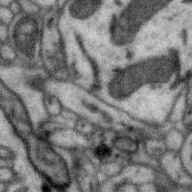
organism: Zebra finch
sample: Brain